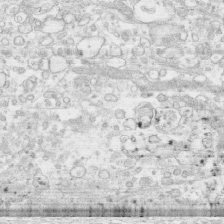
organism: Human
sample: CRL-1474